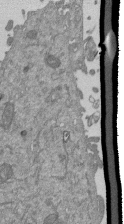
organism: Mouse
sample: ED-1 cell nuclei; centrioles